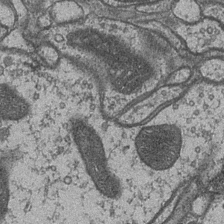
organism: Drosophila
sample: Optic medulla